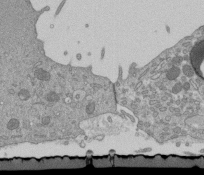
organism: Mouse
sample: ED-1 cell nuclei; centrioles